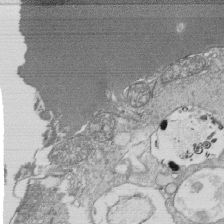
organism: Tetrahymena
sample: Cilia in tetrahymena